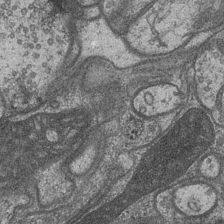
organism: Drosophila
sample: Optic medulla